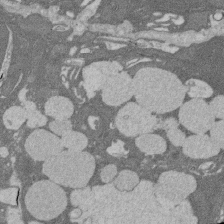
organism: Rat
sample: Salivary granule